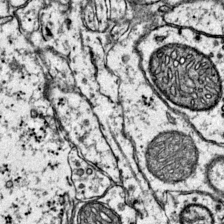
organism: Mouse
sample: Primary visual cortex